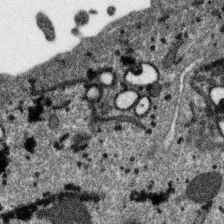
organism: Human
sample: Lung epithelial cells infected with SARS-CoV-2